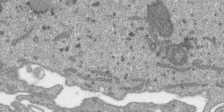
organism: Human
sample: Lung epithelial cells infected with SARS-CoV-2